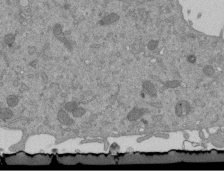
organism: Mouse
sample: ED-1 cell nuclei; centrioles